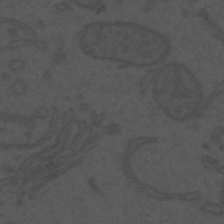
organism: Mouse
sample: Suprachiasmatic nucleus